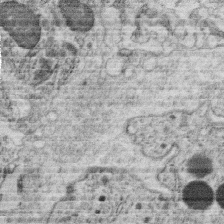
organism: C. elegans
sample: C. elegans oocyte; sperm cells